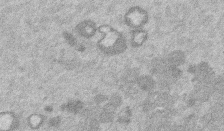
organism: Mouse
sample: Dividing mouse embryo 1 cell stage